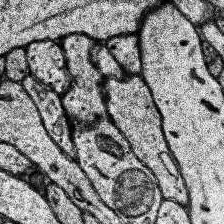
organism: Human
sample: Temporal Lobe